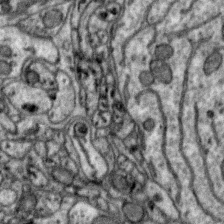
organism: Zebra finch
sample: Brain